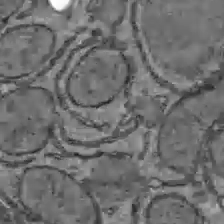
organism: C57BL Mouse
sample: Liver